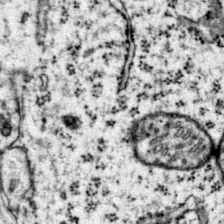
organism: Mouse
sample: Primary visual cortex